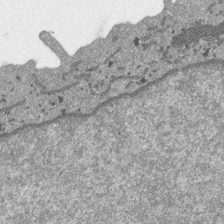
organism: Human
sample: Lung epithelial cells infected with SARS-CoV-2